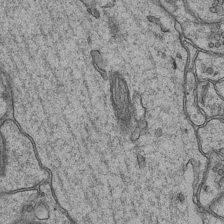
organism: Mouse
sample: CA1 Hippocampus